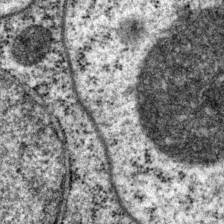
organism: P. pacificus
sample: Pharynx